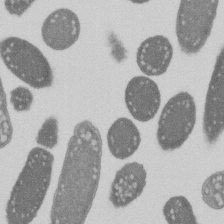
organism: E. coli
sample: Bacterial nucleoid